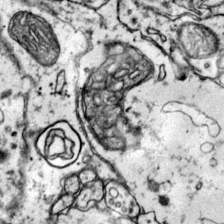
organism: Mouse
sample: Primary visual cortex